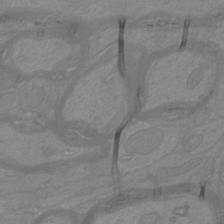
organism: Mouse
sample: Cortical neurons